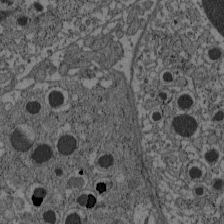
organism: C57BL Mouse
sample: Pancreatic islet